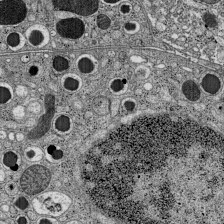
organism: C57BL Mouse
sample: Pancreatic islet